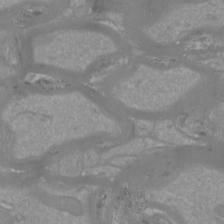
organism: Mouse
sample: Cortical neurons